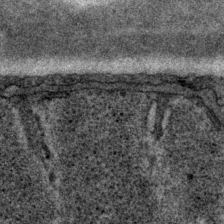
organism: P. pacificus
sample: Pharynx